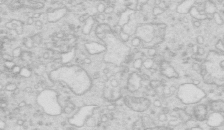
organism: Mouse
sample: Multiciliated cells